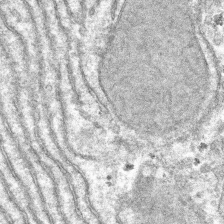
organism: Mouse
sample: Mouse hepatocytes